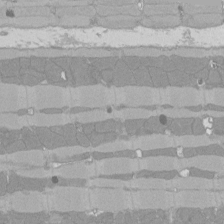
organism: Rat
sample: Left ventricle